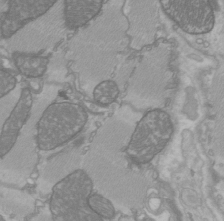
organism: C57BL Mouse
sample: Heart